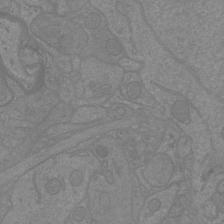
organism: Mouse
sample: Cortical neurons